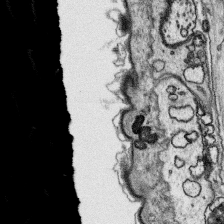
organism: Platynereis dumerilii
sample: Parapodia